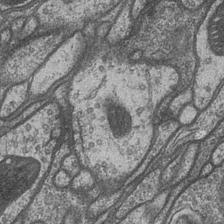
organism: Drosophila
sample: Optic medulla